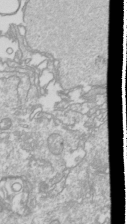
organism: Drosophila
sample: Cell division; meiosis; drosophila spermatocytes